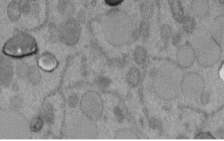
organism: C. elegans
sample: C. elegans embryo early stage